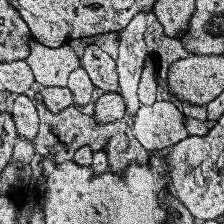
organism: Human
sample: Temporal Lobe